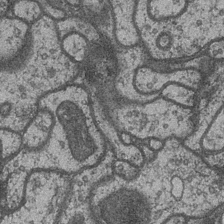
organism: Drosophila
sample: Optic medulla